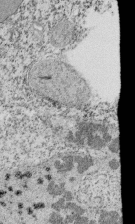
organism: Tetrahymena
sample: Cilia in tetrahymena